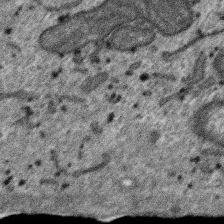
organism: Human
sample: Lung epithelial cells infected with SARS-CoV-2